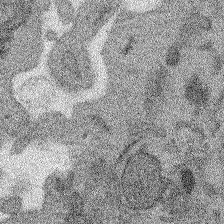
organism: Human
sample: HeLa cells